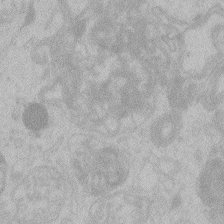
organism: Zebrafish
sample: Macrophage infected with Toxoplasma gondii